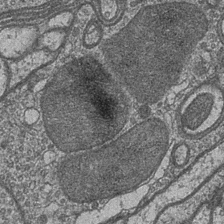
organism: Drosophila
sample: Optic medulla